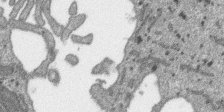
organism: Human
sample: Lung epithelial cells infected with SARS-CoV-2